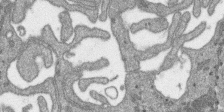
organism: Human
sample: Lung epithelial cells infected with SARS-CoV-2